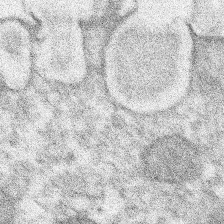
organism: Xenopus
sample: Cilia; centrioles in frog embryo cells